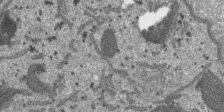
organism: Human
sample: Lung epithelial cells infected with SARS-CoV-2